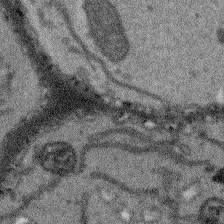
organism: Arabidopsis thaliana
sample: Root tip